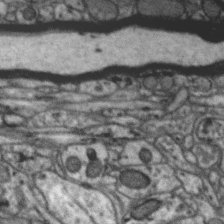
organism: Zebra finch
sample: Brain